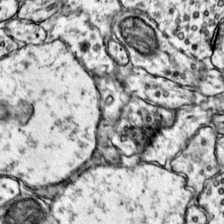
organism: Mouse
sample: Primary visual cortex